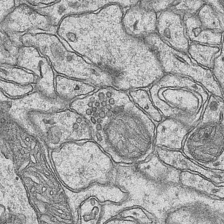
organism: Mouse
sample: CA1 Hippocampus